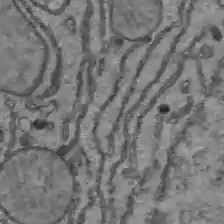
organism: C57BL Mouse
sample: Liver